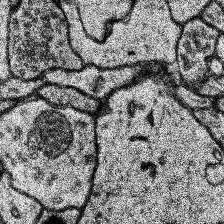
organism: Human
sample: Temporal Lobe